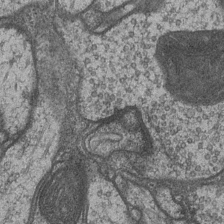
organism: Drosophila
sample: Optic medulla